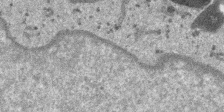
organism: Human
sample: Lung epithelial cells infected with SARS-CoV-2